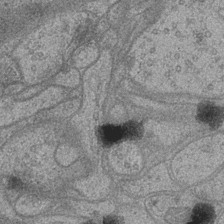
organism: Drosophila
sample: Optic medulla